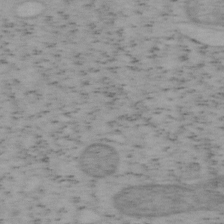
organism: Mouse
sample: OT-I killer T cells with ID8 ovarian cancer cells